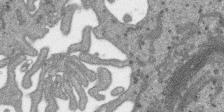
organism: Human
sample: Lung epithelial cells infected with SARS-CoV-2